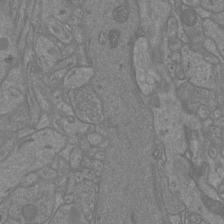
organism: Mouse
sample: Cortical neurons